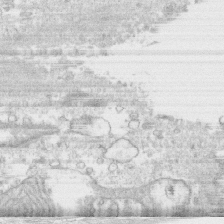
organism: Human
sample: CRL-1474